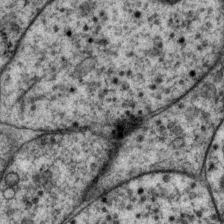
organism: P. pacificus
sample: Pharynx